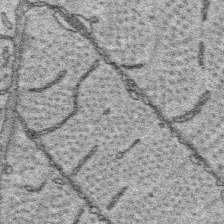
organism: Platynereis dumerilii